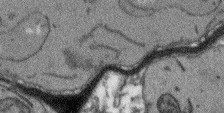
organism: Arabidopsis thaliana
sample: Root tip